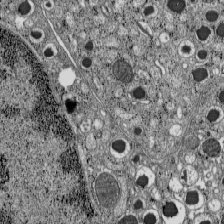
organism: C57BL Mouse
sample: Pancreatic islet